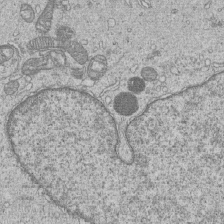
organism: Human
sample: MDA-MB-231 cells